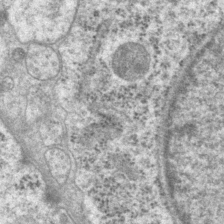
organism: P. pacificus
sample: Pharynx